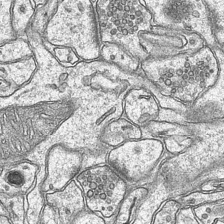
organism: Mouse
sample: CA1 Hippocampus